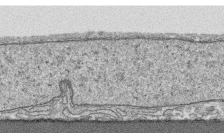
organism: Human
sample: CRL-1474